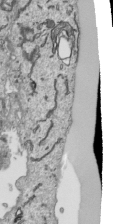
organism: Human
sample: Mitochondria in HCT116 cells